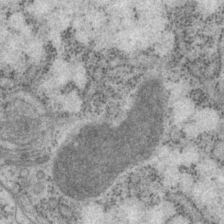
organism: P. pacificus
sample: Pharynx